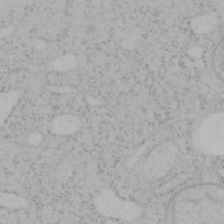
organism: Mouse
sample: OT-I killer T cells with ID8 ovarian cancer cells